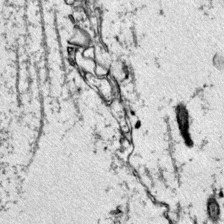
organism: Mouse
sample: Primary visual cortex